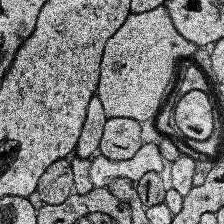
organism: Human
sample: Temporal Lobe